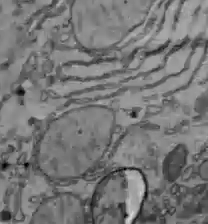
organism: C57BL Mouse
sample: Liver